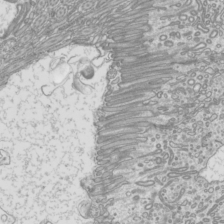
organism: Mouse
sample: Cilia; mouse epididymis